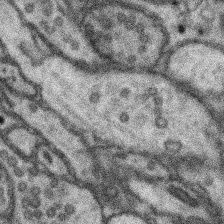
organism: Mouse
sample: Somatosensory cortex neuropil